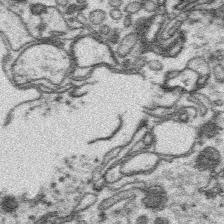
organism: Platynereis dumerilii